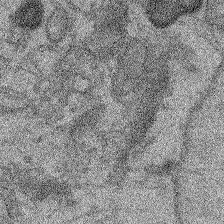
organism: Human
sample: HeLa cells